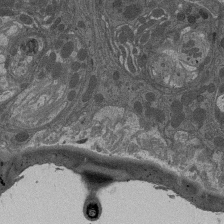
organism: Drosophila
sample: Antenna